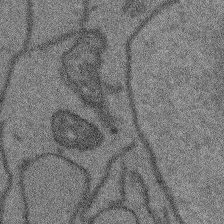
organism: Arabidopsis thaliana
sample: Root tip